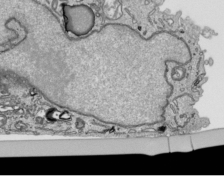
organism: Human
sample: Mitochondria in HCT116 cells